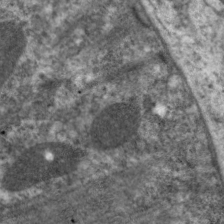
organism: C. elegans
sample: Pharynx